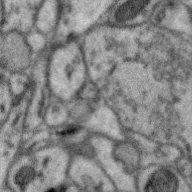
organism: Zebra finch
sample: Brain